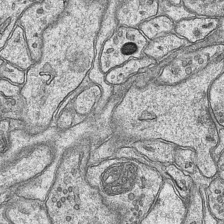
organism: Mouse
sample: CA1 Hippocampus